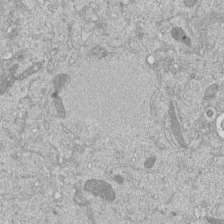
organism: Mouse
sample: ED-1 cell nuclei; centrioles